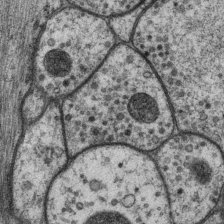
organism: P. pacificus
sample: Pharynx